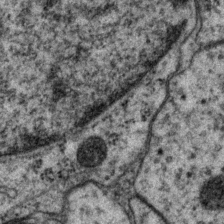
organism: P. pacificus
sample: Pharynx